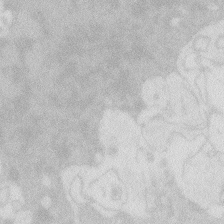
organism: Zebrafish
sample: Macrophage